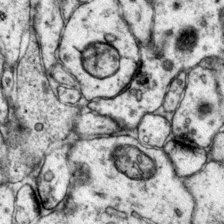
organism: Mouse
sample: Primary visual cortex